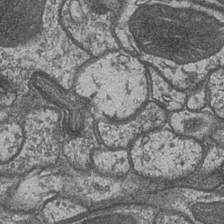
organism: Drosophila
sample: Optic medulla